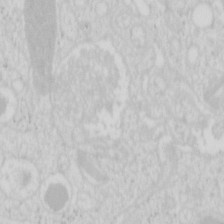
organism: Mouse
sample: Pancreas